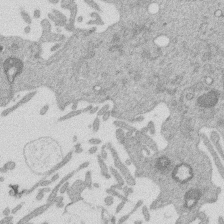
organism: Mouse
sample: Dividing mouse embryo 1 cell stage